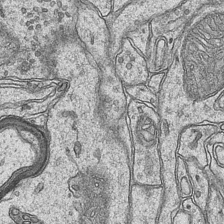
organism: Mouse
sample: CA1 Hippocampus